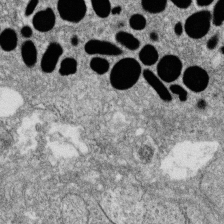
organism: Zebrafish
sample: Cilia; retinal pigment epithelium